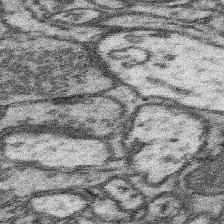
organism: Mouse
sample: Somatosensory cortex neuropil